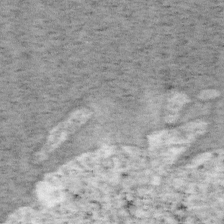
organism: Mouse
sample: OT-I killer T cells with ID8 ovarian cancer cells